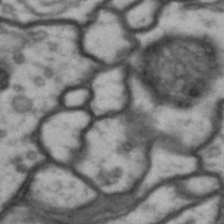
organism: Drosophila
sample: Brain